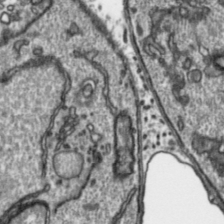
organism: Toxoplasma gondii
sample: Parasites in a vacuole inside a host cell